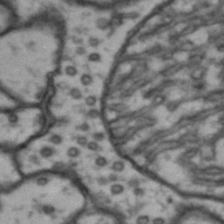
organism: Drosophila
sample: Brain